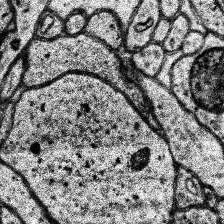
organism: Human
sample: Temporal Lobe